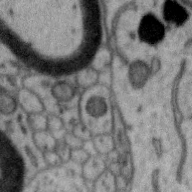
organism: Zebra finch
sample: Brain